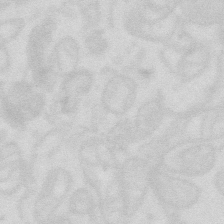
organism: Human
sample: HeLa cells